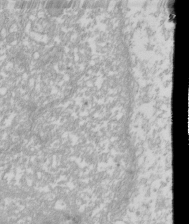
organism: Xenopus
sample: Cilia; centrioles in frog embryo cells